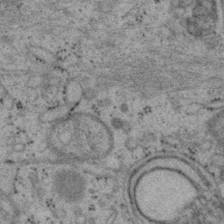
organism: Human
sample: HeLa cells